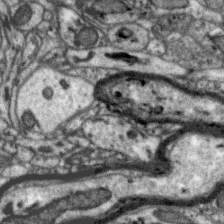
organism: Zebra finch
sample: Brain